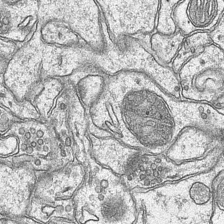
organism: Mouse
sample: CA1 Hippocampus